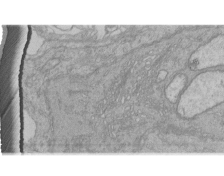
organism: Human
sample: Retinal organoid Rod and Cone cells